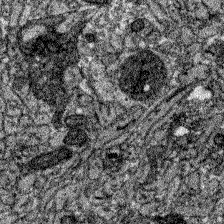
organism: Zebrafish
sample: Larval olfactory bulb